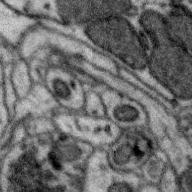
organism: Zebra finch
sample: Brain